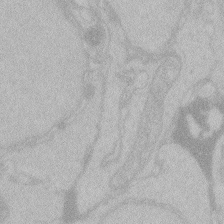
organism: Zebrafish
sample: Macrophage infected with Toxoplasma gondii